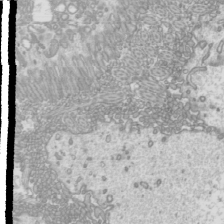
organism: Mouse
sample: Cilia; mouse epididymis